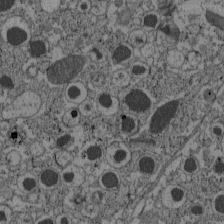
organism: C57BL Mouse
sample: Pancreatic islet